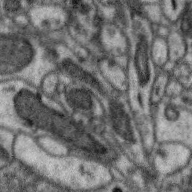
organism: Zebra finch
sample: Brain